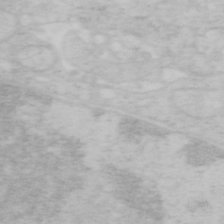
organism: Mouse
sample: OT-I killer T cells with ID8 ovarian cancer cells